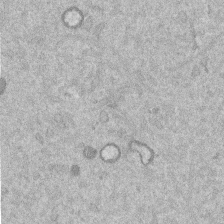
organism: Mouse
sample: Dividing mouse embryo 1 cell stage